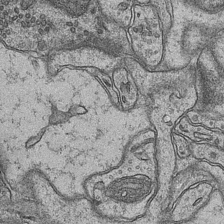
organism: Mouse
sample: CA1 Hippocampus